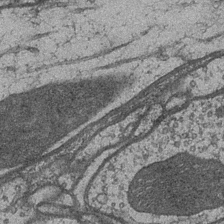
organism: Drosophila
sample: Optic medulla